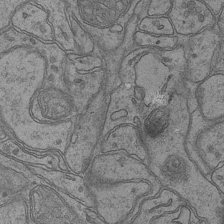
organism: Mouse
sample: CA1 Hippocampus